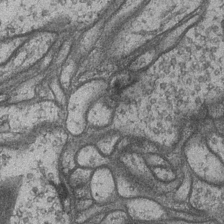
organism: Drosophila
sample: Optic medulla